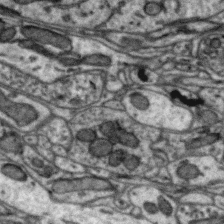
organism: Zebra finch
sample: Brain